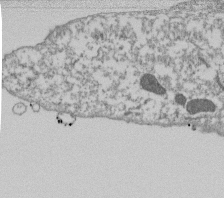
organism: Dictyostelium discoideum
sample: Dictyostelium multivesicular bodies